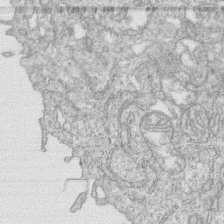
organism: Human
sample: HeLa cell HIV synapse